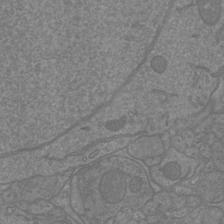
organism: Mouse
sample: Cortical neurons